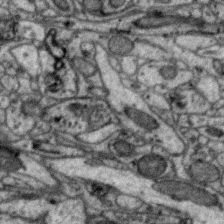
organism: Zebra finch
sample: Brain